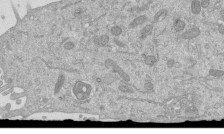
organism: Mouse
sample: ED-1 cell nuclei; centrioles